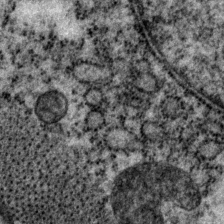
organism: P. pacificus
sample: Pharynx